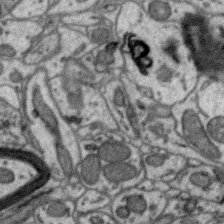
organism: Zebra finch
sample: Brain